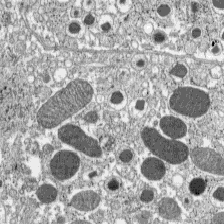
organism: C57BL Mouse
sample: Pancreatic islet